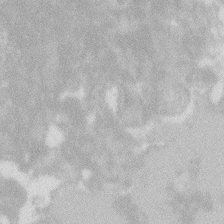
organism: Zebrafish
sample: Macrophage